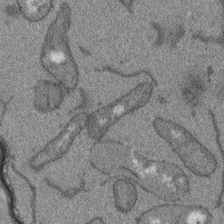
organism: Arabidopsis thaliana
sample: Root tip